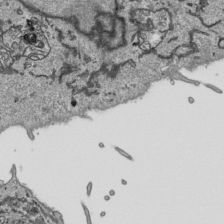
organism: Human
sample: Mitochondria in HCT116 cells